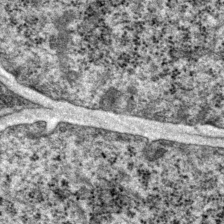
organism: P. pacificus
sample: Pharynx